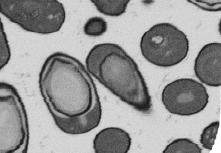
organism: B. subtilis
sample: Bacterial spore